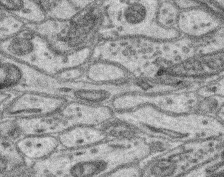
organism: Mouse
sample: Retina